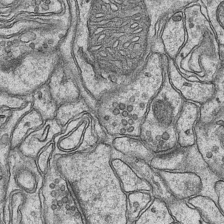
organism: Mouse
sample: CA1 Hippocampus